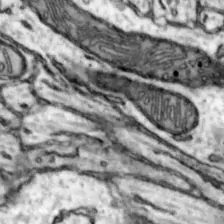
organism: Mouse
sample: Nucleus accumbens